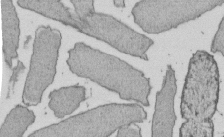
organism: E. coli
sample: Bacterial nucleoid